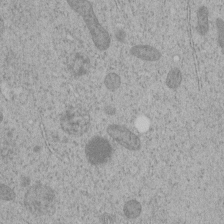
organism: C. elegans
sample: C. elegans embryo early stage